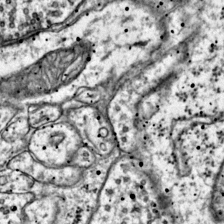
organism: Mouse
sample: Primary visual cortex